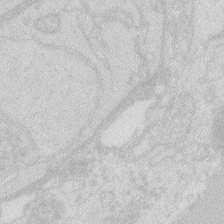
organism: Zebrafish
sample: Macrophage